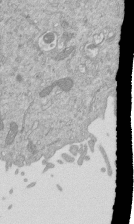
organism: Mouse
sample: ED-1 cell nuclei; centrioles